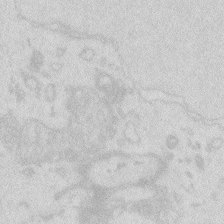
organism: Zebrafish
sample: Macrophage